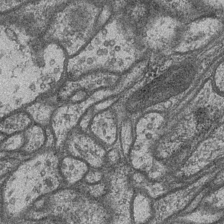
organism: Drosophila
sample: Optic medulla